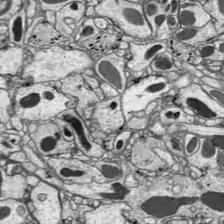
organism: Drosophila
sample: Optic lobe